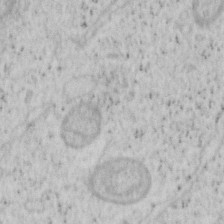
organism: Human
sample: HeLa cells